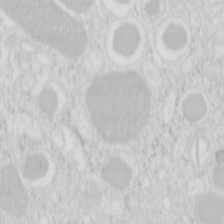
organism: Mouse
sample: Pancreas